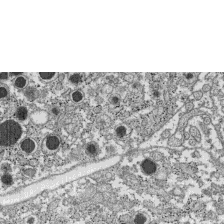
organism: C57BL Mouse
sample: Pancreatic islet